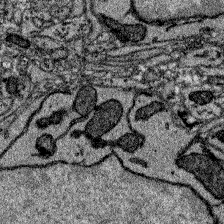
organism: Zebrafish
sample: Larval olfactory bulb